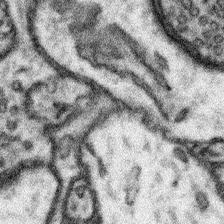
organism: Mouse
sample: Somatosensory cortex neuropil